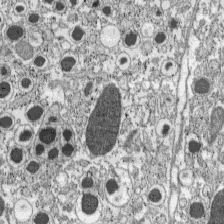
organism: C57BL Mouse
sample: Pancreatic islet